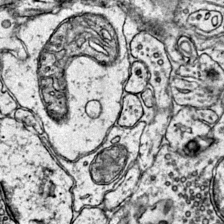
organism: Mouse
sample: Primary visual cortex